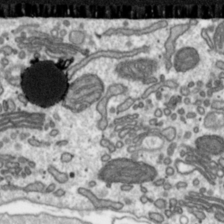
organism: Toxoplasma gondii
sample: Parasites in a vacuole inside a host cell